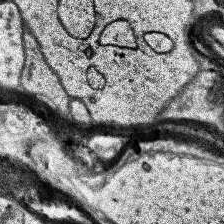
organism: Human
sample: Temporal Lobe